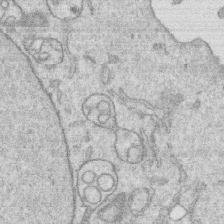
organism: Human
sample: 1205lu cells